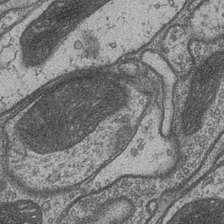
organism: Drosophila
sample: Optic medulla